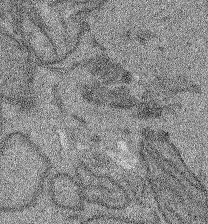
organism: Human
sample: HeLa cells